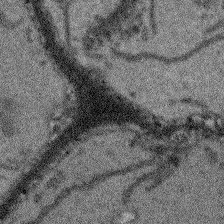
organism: Arabidopsis thaliana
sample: Root tip